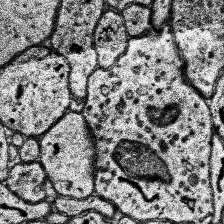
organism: Human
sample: Temporal Lobe